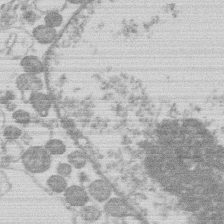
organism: Human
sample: Macrophage cells